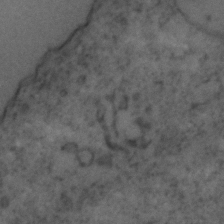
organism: C. elegans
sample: C. elegans embryo